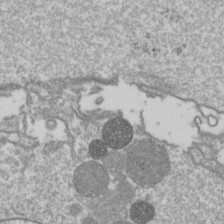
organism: Drosophila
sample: Cell division; meiosis; drosophila spermatocytes